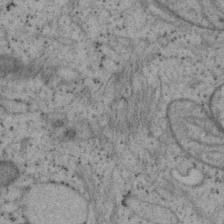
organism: Human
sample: HeLa cells